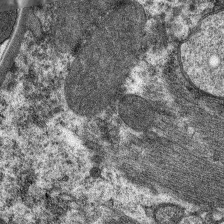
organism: C. elegans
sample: Pharynx